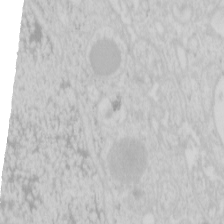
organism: Mouse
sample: Pancreas